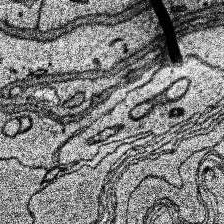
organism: Human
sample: Temporal Lobe